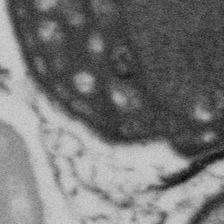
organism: Gemmata obscuriglobus